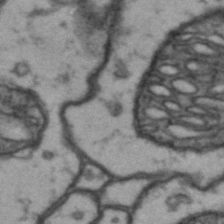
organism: Drosophila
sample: Brain